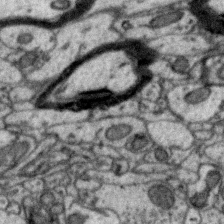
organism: Zebra finch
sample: Brain